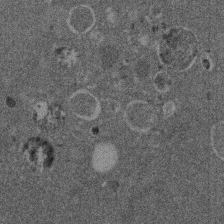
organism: Mouse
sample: Dividing mouse embryo 1 cell stage